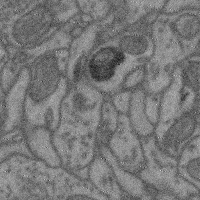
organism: Mouse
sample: Cerebral cortex